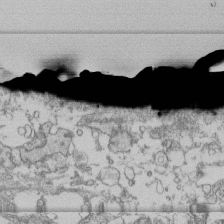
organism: Human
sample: Fibroblast cells